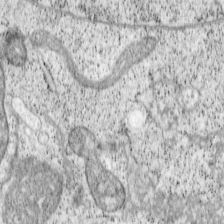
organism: African green monkey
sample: COS-7 cells